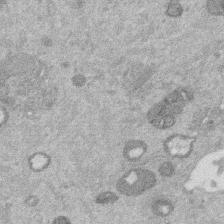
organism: Mouse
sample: Dividing mouse embryo 1 cell stage